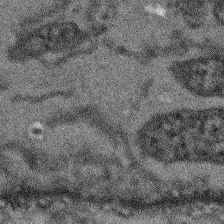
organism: Arabidopsis thaliana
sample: Root tip